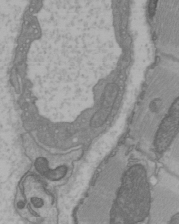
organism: C57BL Mouse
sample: Heart